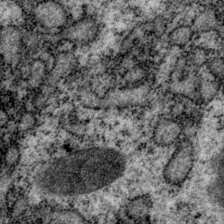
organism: P. pacificus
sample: Pharynx